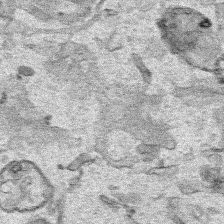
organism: Human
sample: Mitochondria in HCT116 cells